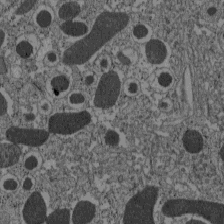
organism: C57BL Mouse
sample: Pancreatic islet